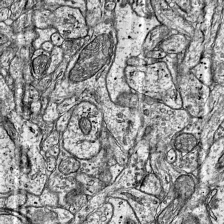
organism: Mouse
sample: Visual Cortex